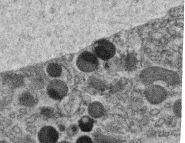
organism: C. elegans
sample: C. elegans oocyte; sperm cells